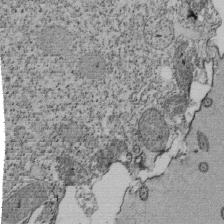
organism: Tetrahymena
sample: Cilia in tetrahymena